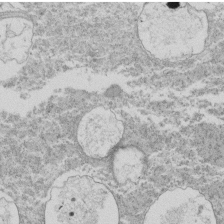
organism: Tetrahymena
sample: Cilia in tetrahymena